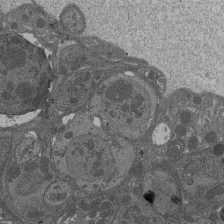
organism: Drosophila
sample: Antenna